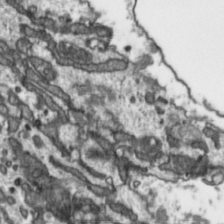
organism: Toxoplasma gondii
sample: Parasites in a vacuole inside a host cell